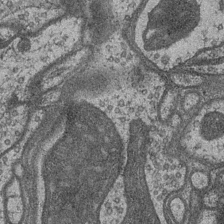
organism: Drosophila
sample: Optic medulla